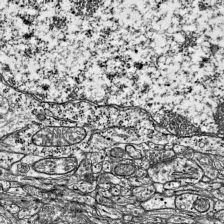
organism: Mouse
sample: Visual Cortex